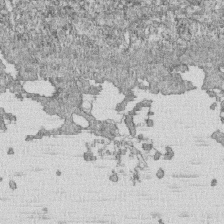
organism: Human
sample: HeLa cell HIV synapse